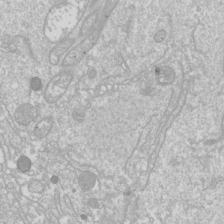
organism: Drosophila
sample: Cell division; meiosis; drosophila spermatocytes